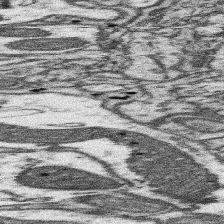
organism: Mouse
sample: Somatosensory cortex neuropil